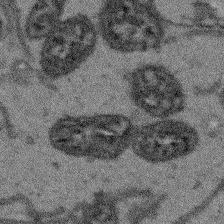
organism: Arabidopsis thaliana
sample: Root tip